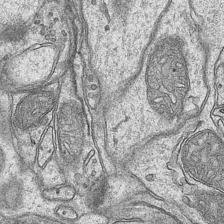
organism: Mouse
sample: CA1 Hippocampus